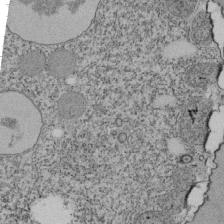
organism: Tetrahymena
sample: Cilia in tetrahymena